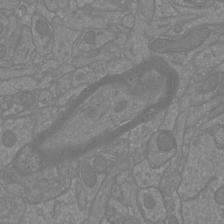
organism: Mouse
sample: Cortical neurons